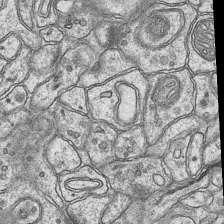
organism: Mouse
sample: CA1 Hippocampus